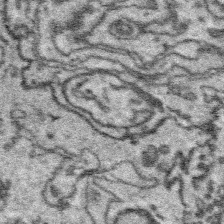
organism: Platynereis dumerilii